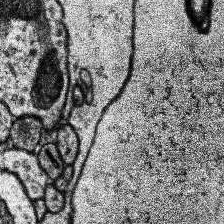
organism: Human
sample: Temporal Lobe